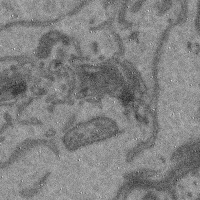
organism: Mouse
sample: Cerebral cortex